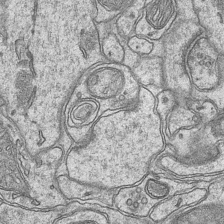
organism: Mouse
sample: CA1 Hippocampus